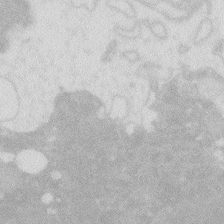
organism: Zebrafish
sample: Macrophage